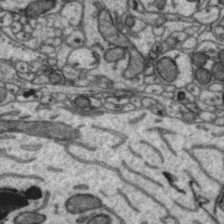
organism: Zebra finch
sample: Brain